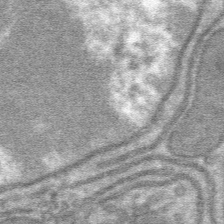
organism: Mouse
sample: Mouse hepatocytes